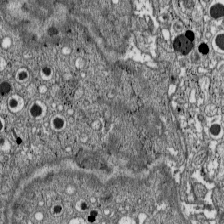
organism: C57BL Mouse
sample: Pancreatic islet